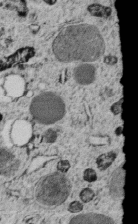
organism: C. elegans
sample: C. elegans embryo early stage